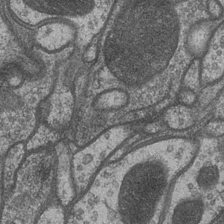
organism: Drosophila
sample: Optic medulla